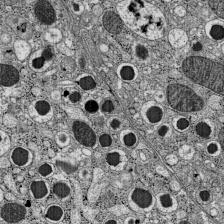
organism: C57BL Mouse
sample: Pancreatic islet